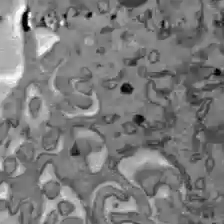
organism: C57BL Mouse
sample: Liver